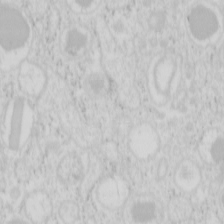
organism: Mouse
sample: Pancreas